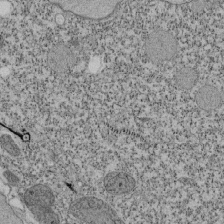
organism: Tetrahymena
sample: Cilia in tetrahymena